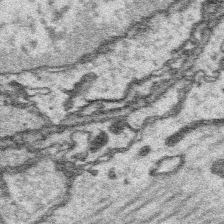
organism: Platynereis dumerilii